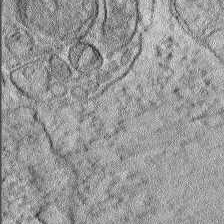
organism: Human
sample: HeLa cells